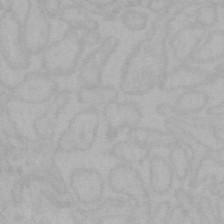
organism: Mouse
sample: Choroid plexus